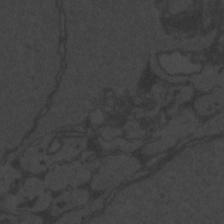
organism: Zebrafish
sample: Macrophage infected with Toxoplasma gondii